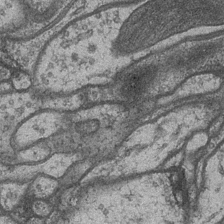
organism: Drosophila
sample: Optic medulla